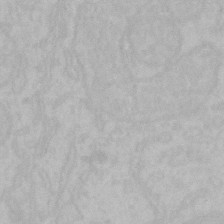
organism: Mouse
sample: Choroid plexus